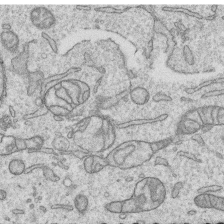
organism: Human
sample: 1205lu cells